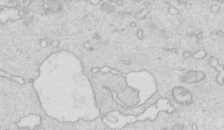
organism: Mouse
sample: Multiciliated cells